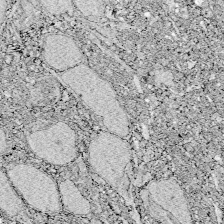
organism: Zebrafish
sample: Whole-Brain